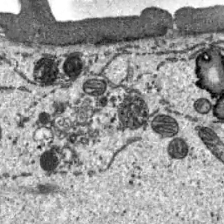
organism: Human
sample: HeLa cells